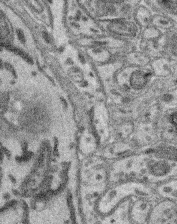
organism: Mouse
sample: Retina